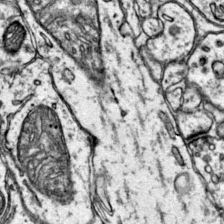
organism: Mouse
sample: Primary visual cortex